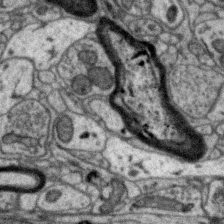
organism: Zebra finch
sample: Brain